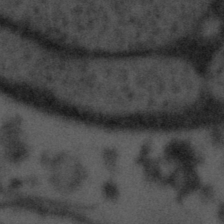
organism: Tuwongella immobilis